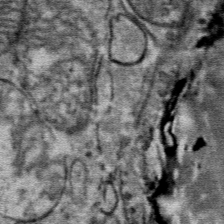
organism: Mouse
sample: Mouse Salivary gland